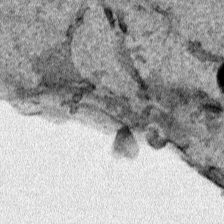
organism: Human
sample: Mitochondria in HCT116 cells